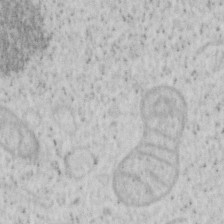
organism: Human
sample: HeLa cells